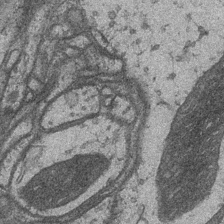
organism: Drosophila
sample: Optic medulla